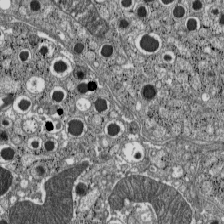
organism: C57BL Mouse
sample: Pancreatic islet